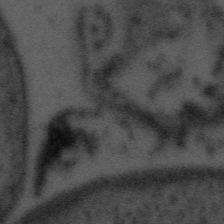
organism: Tuwongella immobilis